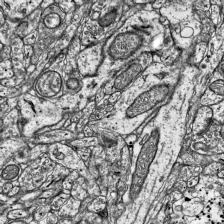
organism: Mouse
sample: Visual Cortex